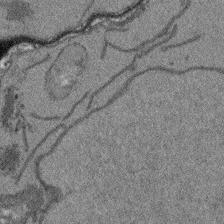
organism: Arabidopsis thaliana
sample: Root tip